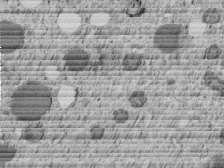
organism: C. elegans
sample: C. elegans embryo early stage